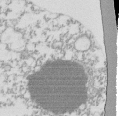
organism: Mouse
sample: Activated Pmel transgenic CD8+ T Cells